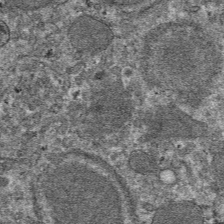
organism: Mouse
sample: Mouse hepatocytes